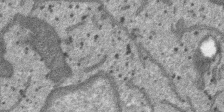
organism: Human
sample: Lung epithelial cells infected with SARS-CoV-2